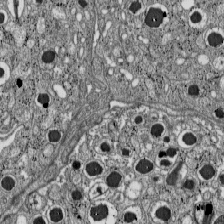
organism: C57BL Mouse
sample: Pancreatic islet